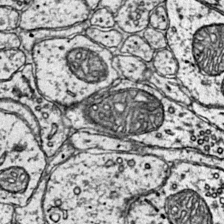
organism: Mouse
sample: Primary visual cortex